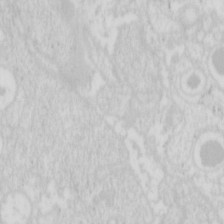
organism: Mouse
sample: Pancreas